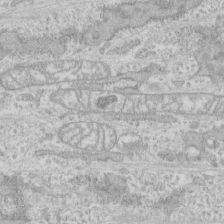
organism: Human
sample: CRL-1474